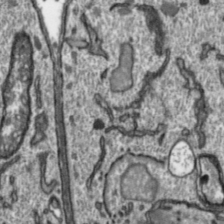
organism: Toxoplasma gondii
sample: Parasites in a vacuole inside a host cell